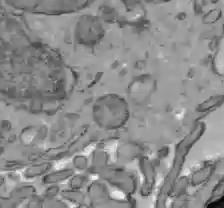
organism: C57BL Mouse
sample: Liver